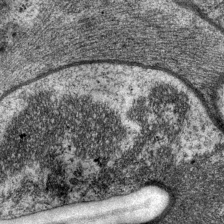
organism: P. pacificus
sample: Pharynx